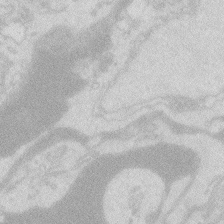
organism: Zebrafish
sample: Macrophage